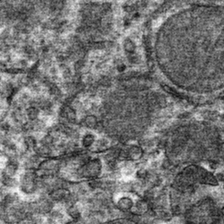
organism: Mouse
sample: Mouse hepatocytes